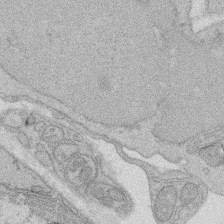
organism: Rat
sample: Salivary granule